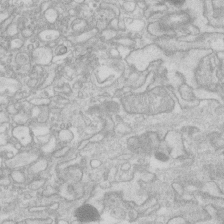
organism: Human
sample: Fibroblast cells